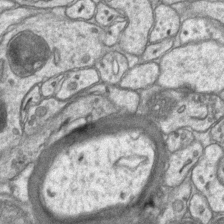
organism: Mouse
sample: CA1 Hippocampus